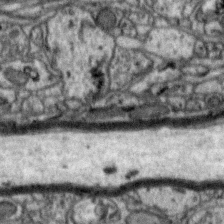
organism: Zebra finch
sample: Brain